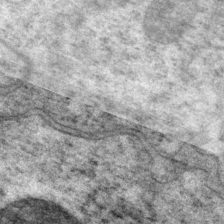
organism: P. pacificus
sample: Pharynx